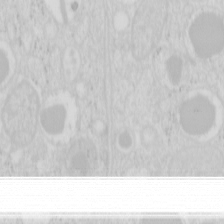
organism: Mouse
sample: Pancreas